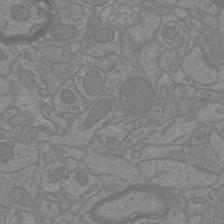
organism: Mouse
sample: Cortical neurons